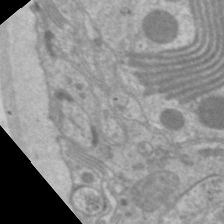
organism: C. elegans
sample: Pharynx